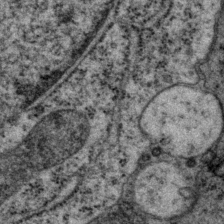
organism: P. pacificus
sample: Pharynx